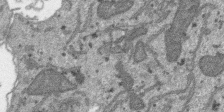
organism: Human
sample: Lung epithelial cells infected with SARS-CoV-2